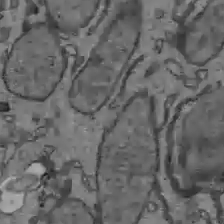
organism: C57BL Mouse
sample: Liver